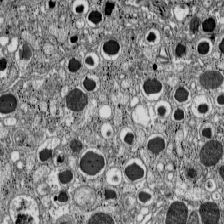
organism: C57BL Mouse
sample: Pancreatic islet